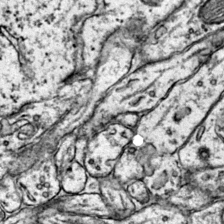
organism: Mouse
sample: Primary visual cortex